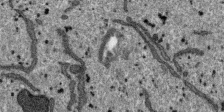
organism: Human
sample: Lung epithelial cells, uninfected (mock) control